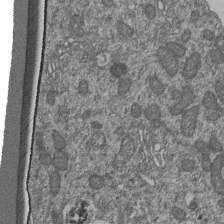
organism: Human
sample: Retinal organoid Rod and Cone cells